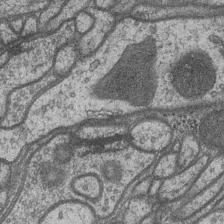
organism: Drosophila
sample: Optic medulla